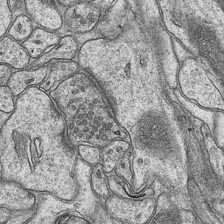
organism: Mouse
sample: CA1 Hippocampus